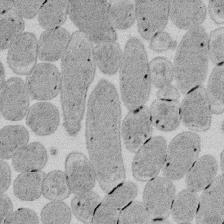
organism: E. coli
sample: Bacterial nucleoid